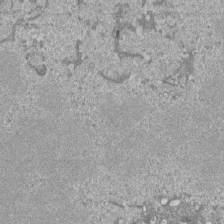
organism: Mouse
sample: ED-1 cell nuclei; centrioles